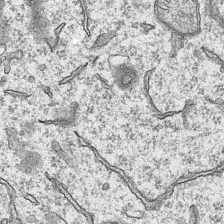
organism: Mouse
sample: CA1 Hippocampus